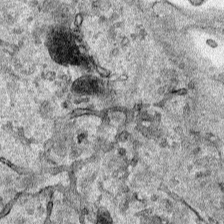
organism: Human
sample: Mitochondria in HCT116 cells